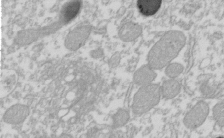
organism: Xenopus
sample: Cilia; centrioles in frog embryo cells